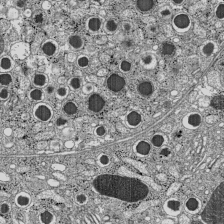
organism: C57BL Mouse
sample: Pancreatic islet